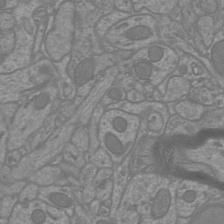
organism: Mouse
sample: Cortical neurons